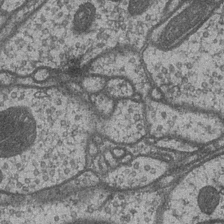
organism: Drosophila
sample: Optic medulla